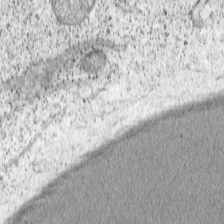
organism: African green monkey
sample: COS-7 cells